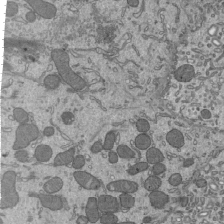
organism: Mouse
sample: Mouse epididymis efferent ductule cilia